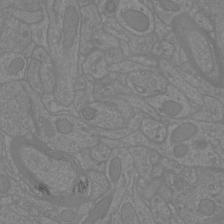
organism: Mouse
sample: Cortical neurons